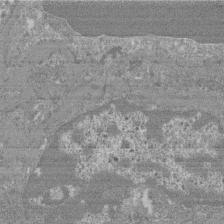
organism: Mouse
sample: Glomerulus